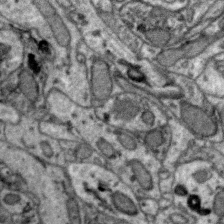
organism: Zebra finch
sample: Brain